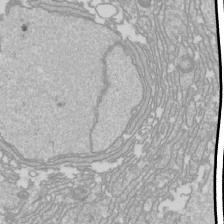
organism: Drosophila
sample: Cell division; meiosis; drosophila spermatocytes